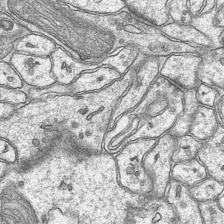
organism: Mouse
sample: CA1 Hippocampus